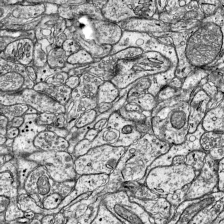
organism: Mouse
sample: Visual Cortex